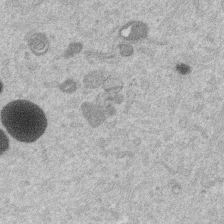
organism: Mouse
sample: Dividing mouse embryo 1 cell stage